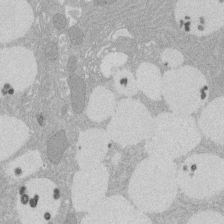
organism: Rat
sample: Salivary granule